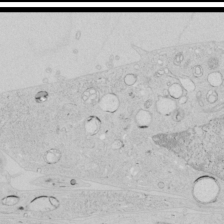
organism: Human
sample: Mitochondria in HCT116 cells